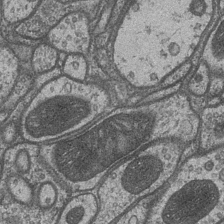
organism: Drosophila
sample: Optic medulla